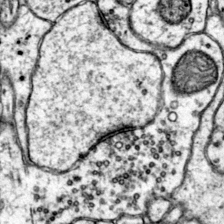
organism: Mouse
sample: Primary visual cortex